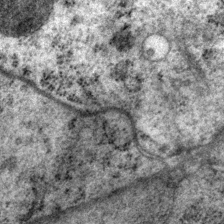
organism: P. pacificus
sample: Pharynx